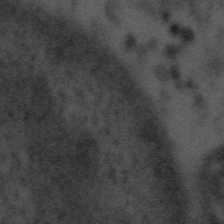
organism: Tuwongella immobilis